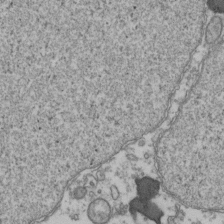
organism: Human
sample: Activated Jurkat CD4+ T cells